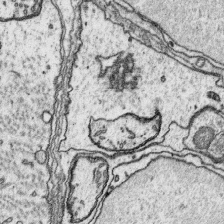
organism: Platynereis dumerilii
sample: Parapodia